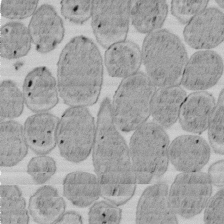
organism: E. coli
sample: Bacterial nucleoid